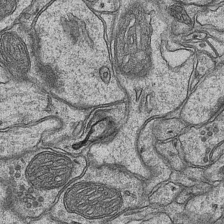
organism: Mouse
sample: CA1 Hippocampus